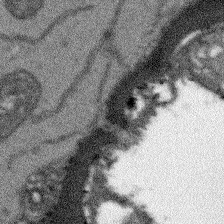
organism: Arabidopsis thaliana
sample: Root tip